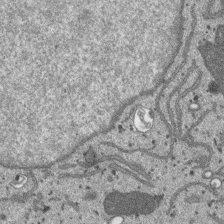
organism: Human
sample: Lung epithelial cells infected with SARS-CoV-2